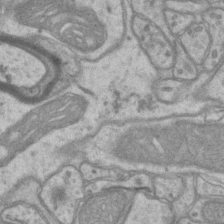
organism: Mouse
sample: CA1 Hippocampus